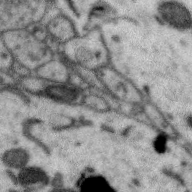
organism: Zebra finch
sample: Brain